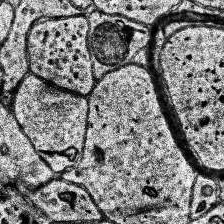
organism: Human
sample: Temporal Lobe